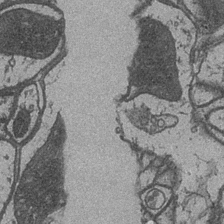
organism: Drosophila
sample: Optic medulla